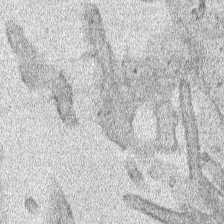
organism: Human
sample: Mitochondria in HCT116 cells